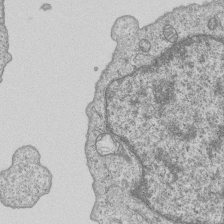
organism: Human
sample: MDA-MB-231 cells